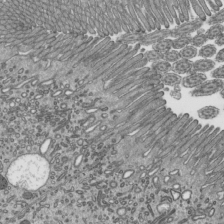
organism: Mouse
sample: Mouse epididymis efferent ductule cilia